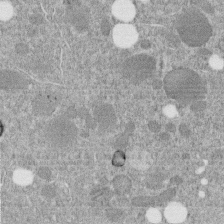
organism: C. elegans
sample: C. elegans embryo early stage